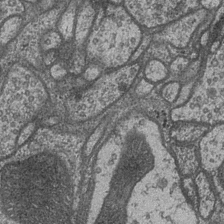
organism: Drosophila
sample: Optic medulla